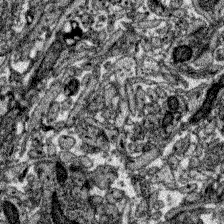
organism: Zebrafish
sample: Larval olfactory bulb